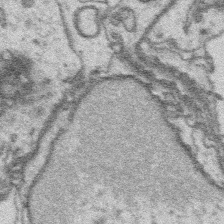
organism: Platynereis dumerilii